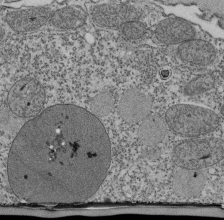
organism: Tetrahymena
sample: Cilia in tetrahymena